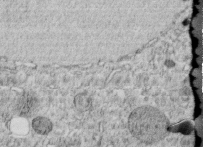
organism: C. elegans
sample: C. elegans embryo early stage